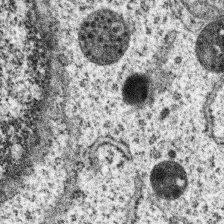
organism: Human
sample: HeLa cells